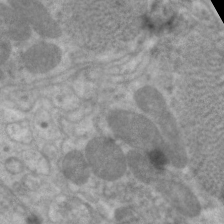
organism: C. elegans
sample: Pharynx